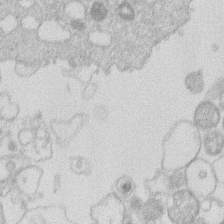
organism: Human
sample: Macrophage cells